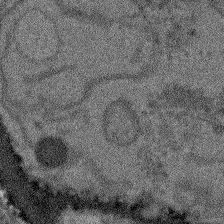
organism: Arabidopsis thaliana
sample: Root tip